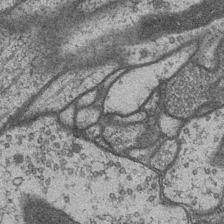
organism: Drosophila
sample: Optic medulla